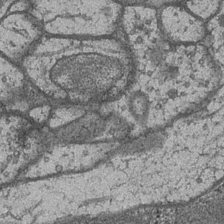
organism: Drosophila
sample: Optic medulla